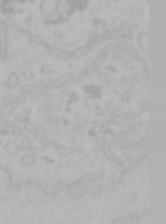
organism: Mouse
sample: Choroid plexus